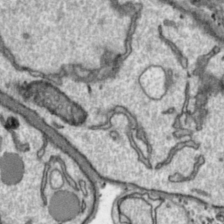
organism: Toxoplasma gondii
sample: Parasites in a vacuole inside a host cell